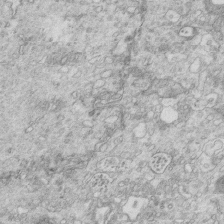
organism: Mouse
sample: Multiciliated cells